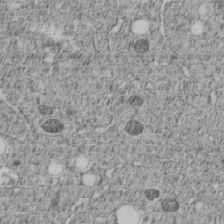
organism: C. elegans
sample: C. elegans embryo early stage